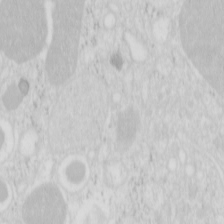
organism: Mouse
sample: Pancreas